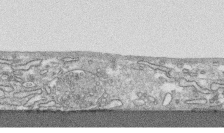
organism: Human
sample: CRL-1474